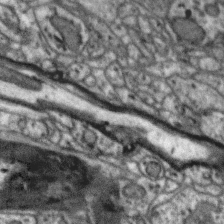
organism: Zebra finch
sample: Brain